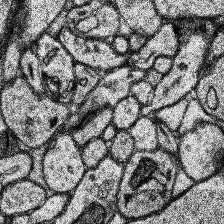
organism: Human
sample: Temporal Lobe